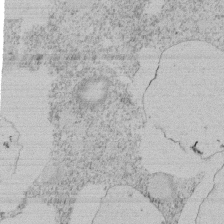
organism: Tetrahymena